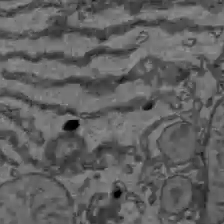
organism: C57BL Mouse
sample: Liver